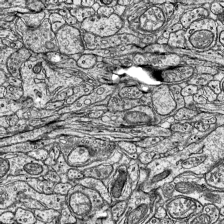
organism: Mouse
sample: Visual Cortex